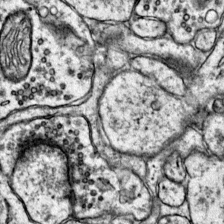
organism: Mouse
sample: Primary visual cortex